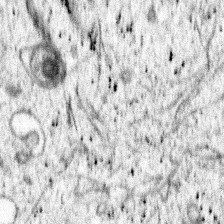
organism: Human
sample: HeLa cells